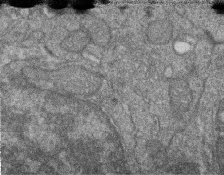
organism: Zebrafish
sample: Cilia; retinal pigment epithelium